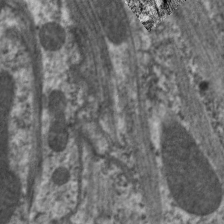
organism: C. elegans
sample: Pharynx